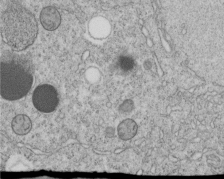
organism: C. elegans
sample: C. elegans embryo early stage